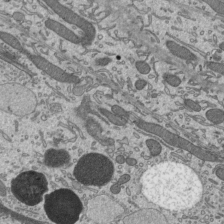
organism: Mouse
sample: Mouse epididymis efferent ductule cilia